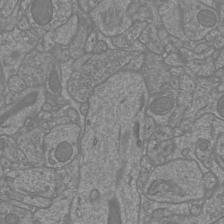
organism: Mouse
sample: Cortical neurons